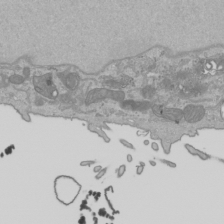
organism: Human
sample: Mitochondria in HCT116 cells